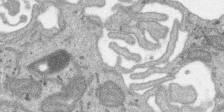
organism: Human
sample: Lung epithelial cells infected with SARS-CoV-2